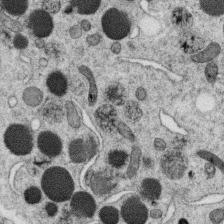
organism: C. elegans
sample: C. elegans oocyte; sperm cells